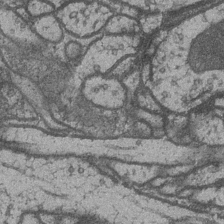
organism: Drosophila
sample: Optic medulla